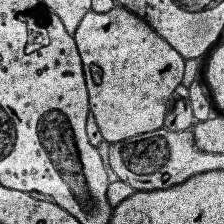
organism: Human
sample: Temporal Lobe